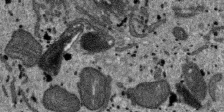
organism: Human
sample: Lung epithelial cells, uninfected (mock) control